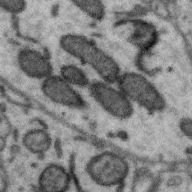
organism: Zebra finch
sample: Brain